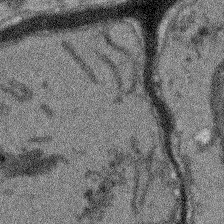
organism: Arabidopsis thaliana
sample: Root tip